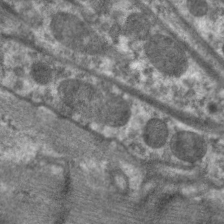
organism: C. elegans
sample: Pharynx